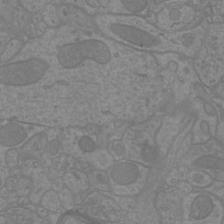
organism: Mouse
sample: Cortical neurons